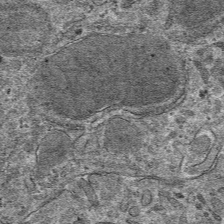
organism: Mouse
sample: Mouse hepatocytes